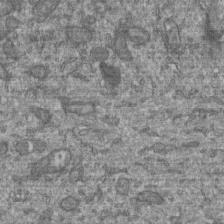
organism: Human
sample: Retinal organoid Rod and Cone cells